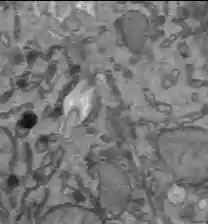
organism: C57BL Mouse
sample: Liver